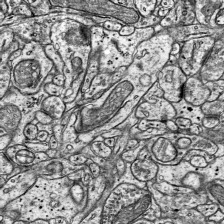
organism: Mouse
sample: Visual Cortex